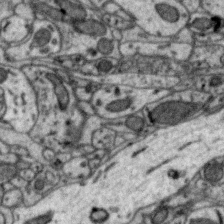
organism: Zebra finch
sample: Brain